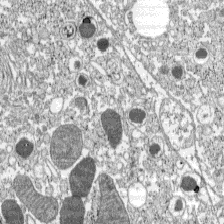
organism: C57BL Mouse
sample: Pancreatic islet